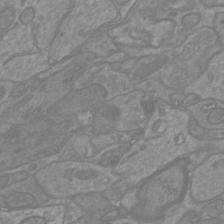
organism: Mouse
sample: Cortical neurons